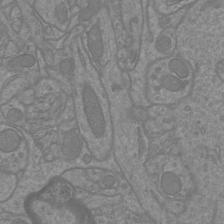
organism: Mouse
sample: Cortical neurons